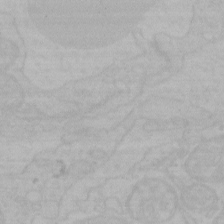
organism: Mouse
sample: Choroid plexus